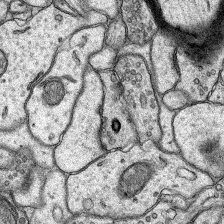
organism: Rat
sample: Hippocampus